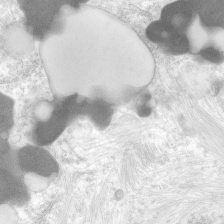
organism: Human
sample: Neocortex